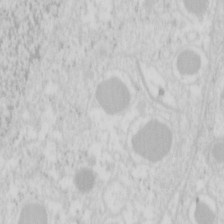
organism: Mouse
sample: Pancreas